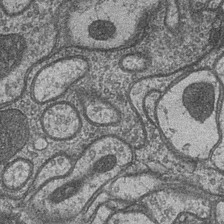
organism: Drosophila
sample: Optic medulla